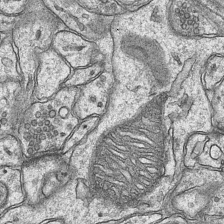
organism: Mouse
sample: CA1 Hippocampus